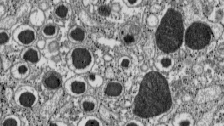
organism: C57BL Mouse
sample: Pancreatic islet